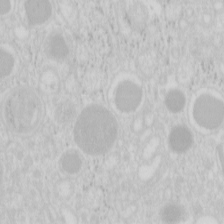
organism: Mouse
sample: Pancreas